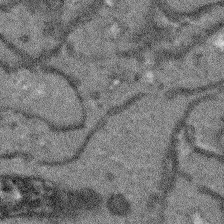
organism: Arabidopsis thaliana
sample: Root tip